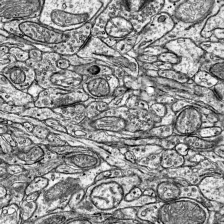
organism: Mouse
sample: Visual Cortex